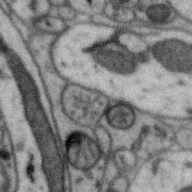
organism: Zebra finch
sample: Brain